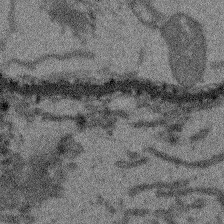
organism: Arabidopsis thaliana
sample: Root tip